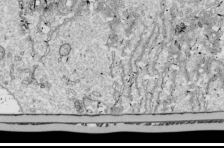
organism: Drosophila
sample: Cell division; meiosis; drosophila spermatocytes